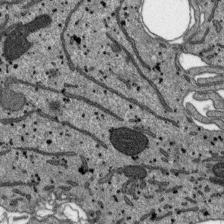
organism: Human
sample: Lung epithelial cells, uninfected (mock) control